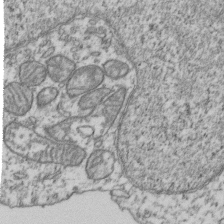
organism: Human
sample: Activated Jurkat CD4+ T cells